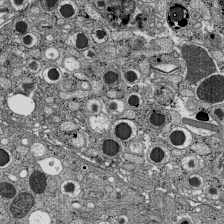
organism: C57BL Mouse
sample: Pancreatic islet